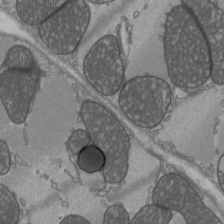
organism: C57BL Mouse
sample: Heart